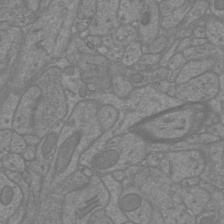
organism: Mouse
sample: Cortical neurons